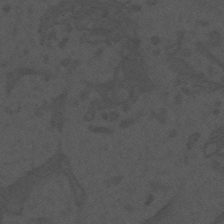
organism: Mouse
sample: Suprachiasmatic nucleus